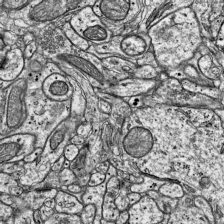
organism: Mouse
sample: Visual Cortex